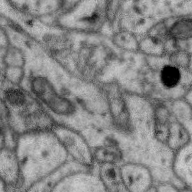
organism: Zebra finch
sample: Brain